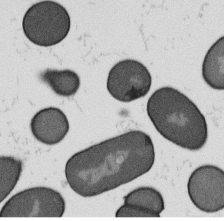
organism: B. subtilis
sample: Bacterial spore